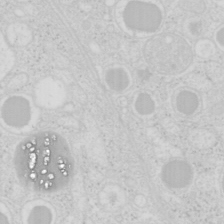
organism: Mouse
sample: Pancreas